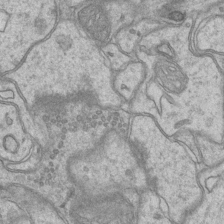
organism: Mouse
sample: CA1 Hippocampus